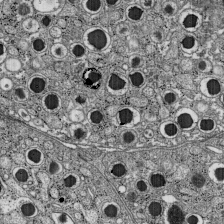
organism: C57BL Mouse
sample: Pancreatic islet